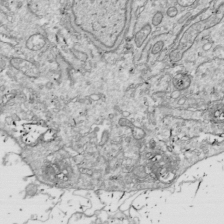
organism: Drosophila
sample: Cell division; meiosis; drosophila spermatocytes